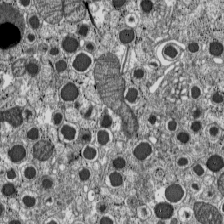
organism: C57BL Mouse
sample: Pancreatic islet